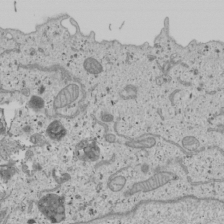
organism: Human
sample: Mitochondria in U2OS cells